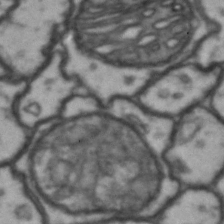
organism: Drosophila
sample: Brain